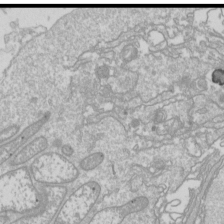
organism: Drosophila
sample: Cell division; meiosis; drosophila spermatocytes